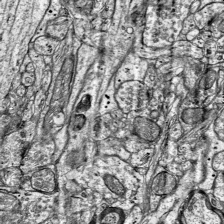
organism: Mouse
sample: Visual Cortex